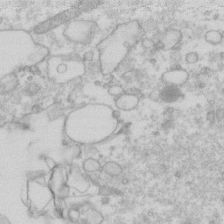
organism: Human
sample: Fibroblast cells